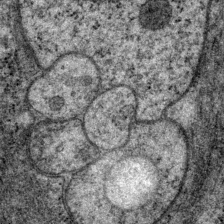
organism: P. pacificus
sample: Pharynx